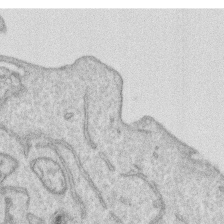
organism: Human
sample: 1205lu cells